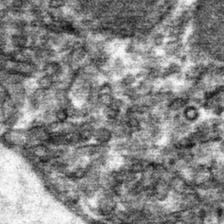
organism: Mouse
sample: Mouse hepatocytes